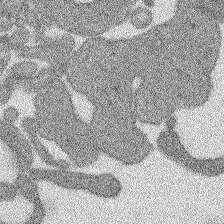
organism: Human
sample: HeLa cells